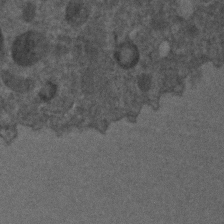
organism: C. elegans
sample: C. elegans embryo